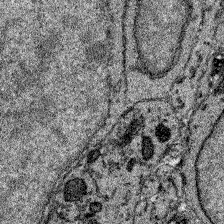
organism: Zebrafish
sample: Larval olfactory bulb